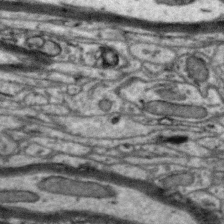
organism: Zebra finch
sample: Brain